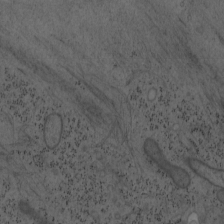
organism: Mouse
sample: OT-I killer T cells with ID8 ovarian cancer cells